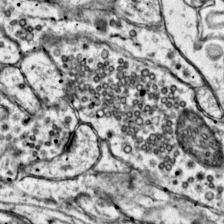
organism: Mouse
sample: Primary visual cortex